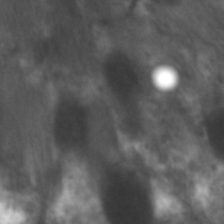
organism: C. elegans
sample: Pharynx